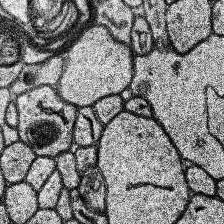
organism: Human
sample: Temporal Lobe